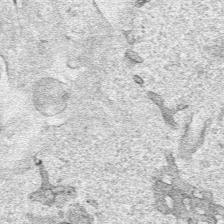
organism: Human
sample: Mitochondria in HCT116 cells